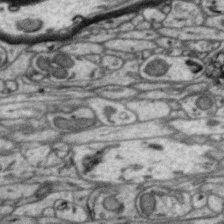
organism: Zebra finch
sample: Brain